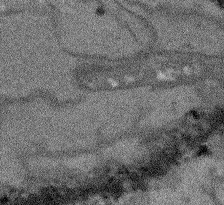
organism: Arabidopsis thaliana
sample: Root tip